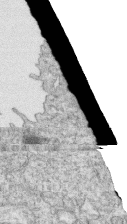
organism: Human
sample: HeLa cell HIV synapse